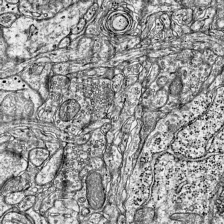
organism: Mouse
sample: Visual Cortex